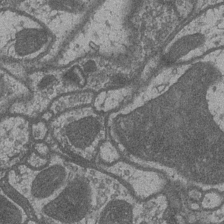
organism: Drosophila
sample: Optic medulla